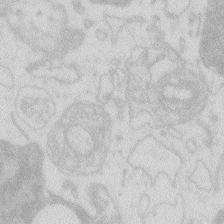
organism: Zebrafish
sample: Macrophage